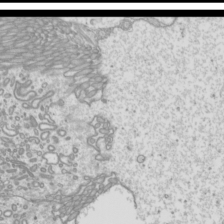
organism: Mouse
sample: Cilia; mouse epididymis